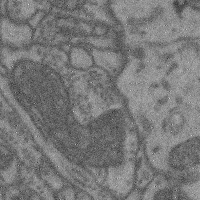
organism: Mouse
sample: Cerebral cortex